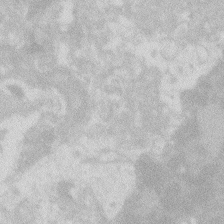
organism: Zebrafish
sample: Macrophage